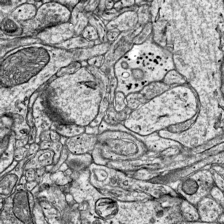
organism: Mouse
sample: Visual Cortex